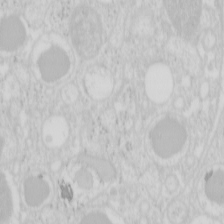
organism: Mouse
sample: Pancreas